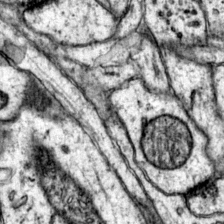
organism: Mouse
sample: Primary visual cortex